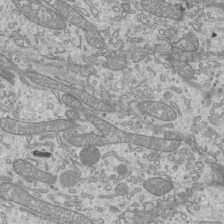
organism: Mouse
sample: Cilia; mouse epididymis